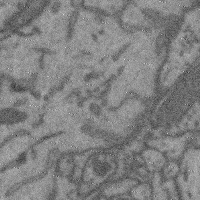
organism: Mouse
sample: Cerebral cortex